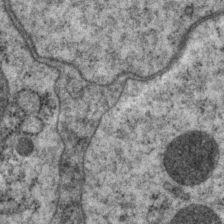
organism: P. pacificus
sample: Pharynx